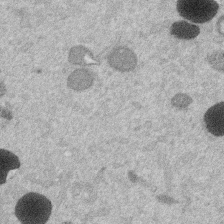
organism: Mouse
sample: Dividing mouse embryo 1 cell stage